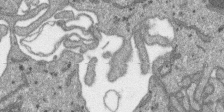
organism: Human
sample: Lung epithelial cells infected with SARS-CoV-2